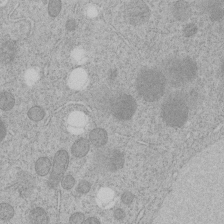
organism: C. elegans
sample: C. elegans embryo early stage